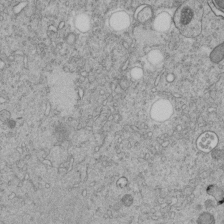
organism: C. elegans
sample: C. elegans embryo early stage